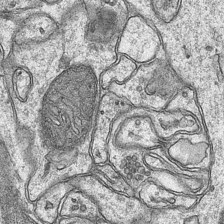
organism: Mouse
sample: CA1 Hippocampus